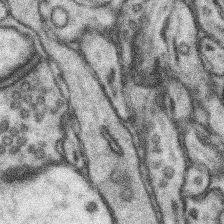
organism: Mouse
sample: Somatosensory cortex neuropil